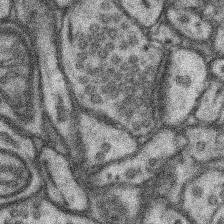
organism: Mouse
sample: Somatosensory cortex neuropil